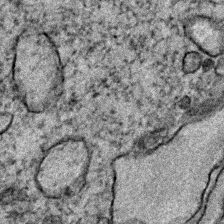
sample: Trachea